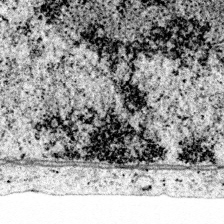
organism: Human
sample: HeLa cells